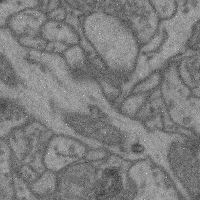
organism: Mouse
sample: Cerebral cortex